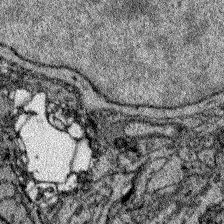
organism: Zebrafish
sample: Larval olfactory bulb